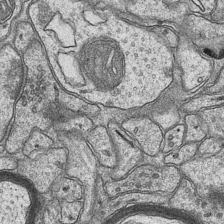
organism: Mouse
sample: CA1 Hippocampus